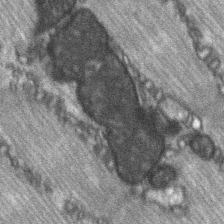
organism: C57BL Mouse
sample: Soleus